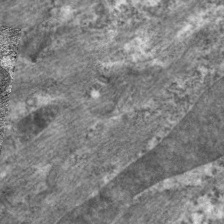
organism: C. elegans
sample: Pharynx